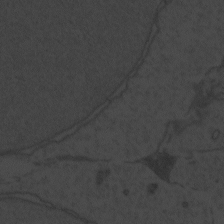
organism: Zebrafish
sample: Macrophage infected with Toxoplasma gondii